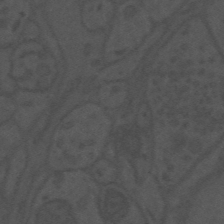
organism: Mouse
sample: Suprachiasmatic nucleus